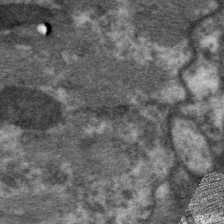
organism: C. elegans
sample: Pharynx